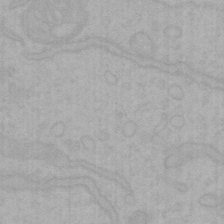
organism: Mouse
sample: Choroid plexus